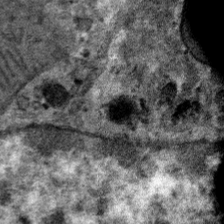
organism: Mouse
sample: Mouse hepatocytes